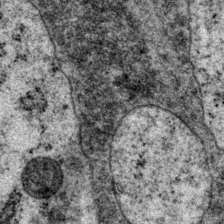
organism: P. pacificus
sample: Pharynx